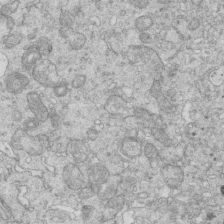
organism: Mouse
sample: Multiciliated cells